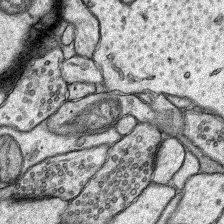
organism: Rat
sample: Hippocampus